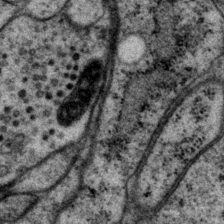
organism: P. pacificus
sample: Pharynx